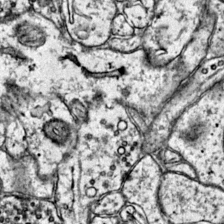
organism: Mouse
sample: Primary visual cortex